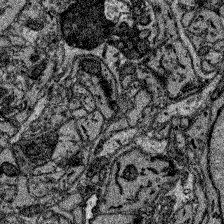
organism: Zebrafish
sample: Larval olfactory bulb